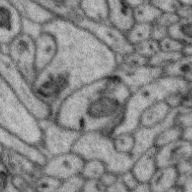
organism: Zebra finch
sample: Brain